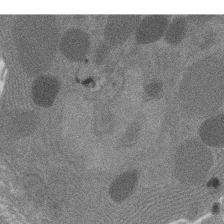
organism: Rat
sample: Salivary granule